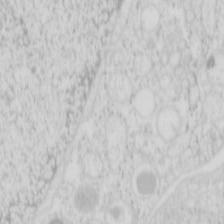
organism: Mouse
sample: Pancreas